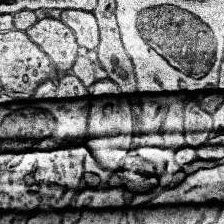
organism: Human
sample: Temporal Lobe